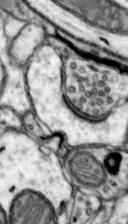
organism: Mouse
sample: Nucleus accumbens